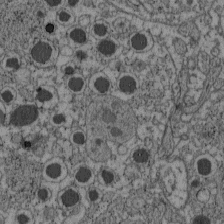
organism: C57BL Mouse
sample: Pancreatic islet